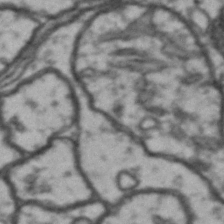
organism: Drosophila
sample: Brain